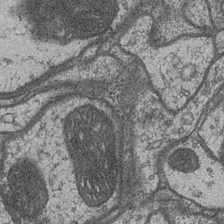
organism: Drosophila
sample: Optic medulla